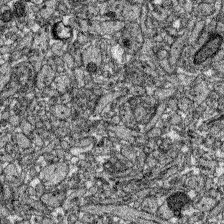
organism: Zebrafish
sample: Larval olfactory bulb